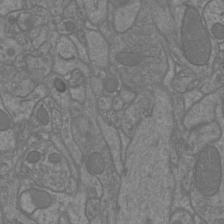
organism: Mouse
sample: Cortical neurons